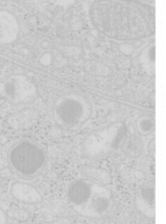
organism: Mouse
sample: Pancreas